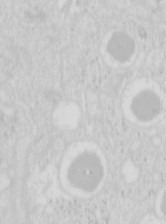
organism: Mouse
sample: Pancreas